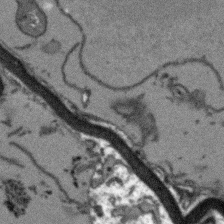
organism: Arabidopsis thaliana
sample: Root tip